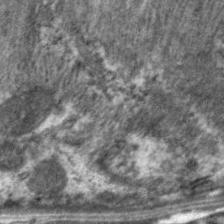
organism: C. elegans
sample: Pharynx